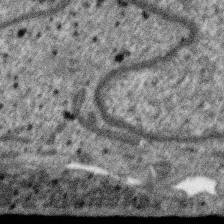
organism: Human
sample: Lung epithelial cells infected with SARS-CoV-2